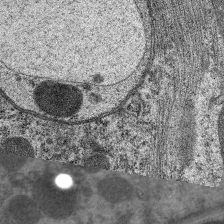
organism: C. elegans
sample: Pharynx